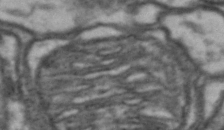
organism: Drosophila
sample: Brain